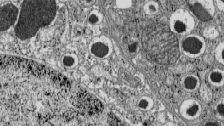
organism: C57BL Mouse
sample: Pancreatic islet